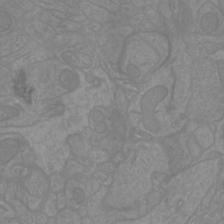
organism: Mouse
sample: Cortical neurons